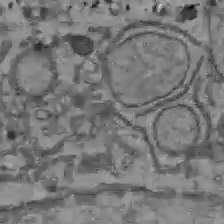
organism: C57BL Mouse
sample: Liver